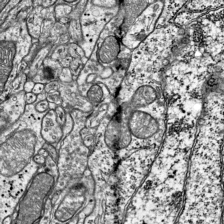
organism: Mouse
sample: Visual Cortex